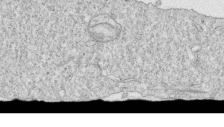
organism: Human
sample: HeLa cell HIV synapse